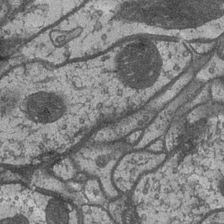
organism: Drosophila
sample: Optic medulla